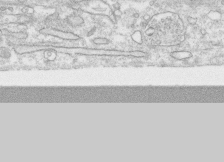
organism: Human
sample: CRL-1474